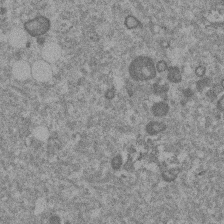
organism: Mouse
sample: Dividing mouse embryo 1 cell stage